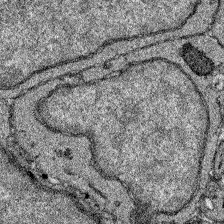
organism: Zebrafish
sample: Larval olfactory bulb